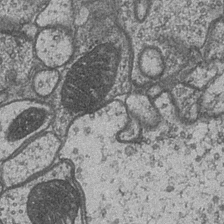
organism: Drosophila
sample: Optic medulla